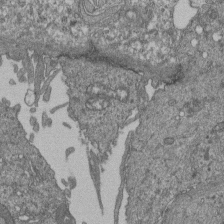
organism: Human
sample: Retinal organoid Rod and Cone cells